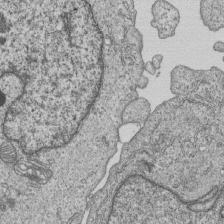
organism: Human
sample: MDA-MB-231 cells